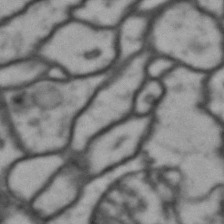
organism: Drosophila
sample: Brain